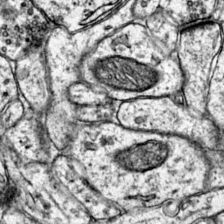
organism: Mouse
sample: Primary visual cortex